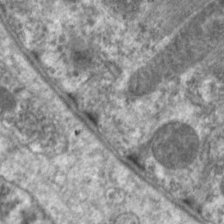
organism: C. elegans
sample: Pharynx